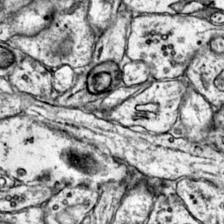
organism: Mouse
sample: Primary visual cortex